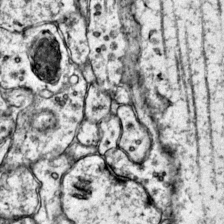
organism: Mouse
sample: Primary visual cortex